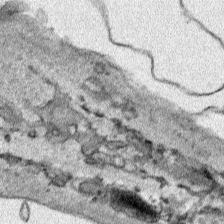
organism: Human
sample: Mitochondria in HCT116 cells